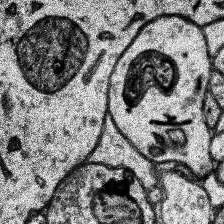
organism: Human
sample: Temporal Lobe